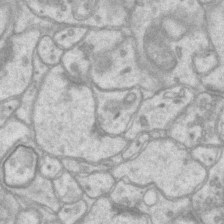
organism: Mouse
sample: CA1 Hippocampus